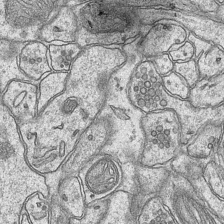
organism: Mouse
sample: CA1 Hippocampus